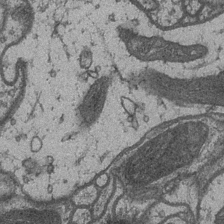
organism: Drosophila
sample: Optic medulla